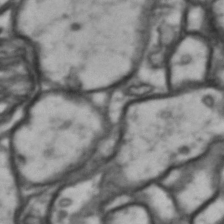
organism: Drosophila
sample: Brain